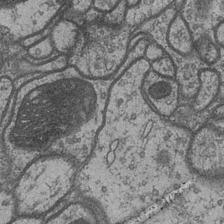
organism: Drosophila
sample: Optic medulla